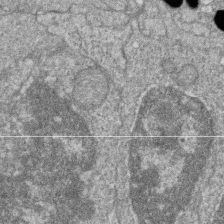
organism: Zebrafish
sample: Cilia; retinal pigment epithelium